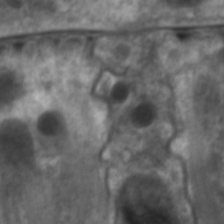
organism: C. elegans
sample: Pharynx